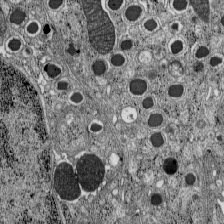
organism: C57BL Mouse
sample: Pancreatic islet